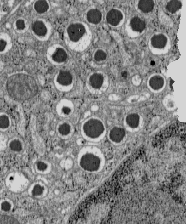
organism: C57BL Mouse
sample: Pancreatic islet